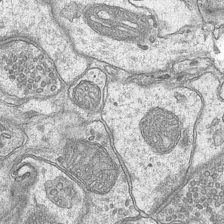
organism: Mouse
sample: CA1 Hippocampus